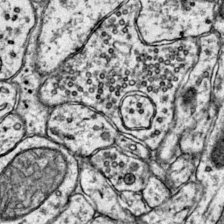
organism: Mouse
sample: Primary visual cortex